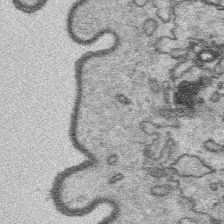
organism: Platynereis dumerilii